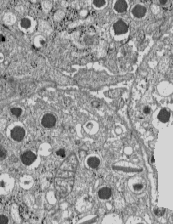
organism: C57BL Mouse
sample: Pancreatic islet